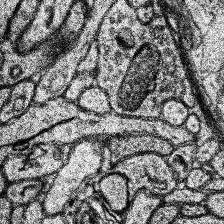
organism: Human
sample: Temporal Lobe